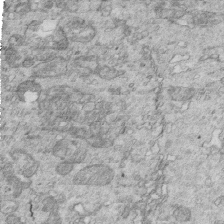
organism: Mouse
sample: Multiciliated cells